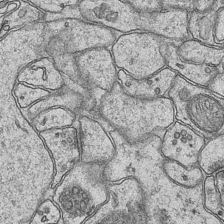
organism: Mouse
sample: CA1 Hippocampus